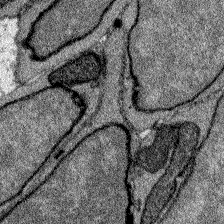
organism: Zebrafish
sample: Larval olfactory bulb